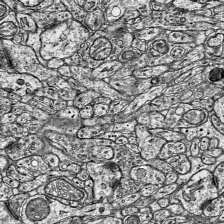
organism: Mouse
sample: Visual Cortex